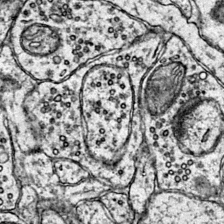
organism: Mouse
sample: Primary visual cortex